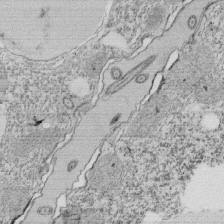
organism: Tetrahymena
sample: Cilia in tetrahymena